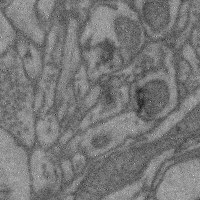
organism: Mouse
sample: Cerebral cortex